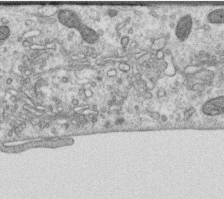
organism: Human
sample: Centriole in RPE cells